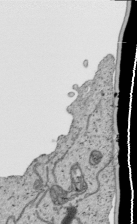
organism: Human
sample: Mitochondria in HCT116 cells